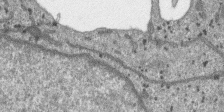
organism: Human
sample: Lung epithelial cells infected with SARS-CoV-2